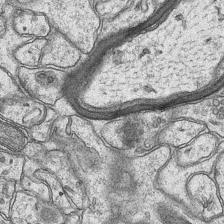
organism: Mouse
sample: CA1 Hippocampus